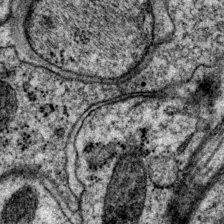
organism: P. pacificus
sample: Pharynx